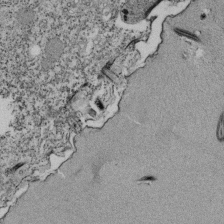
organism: Tetrahymena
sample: Cilia in tetrahymena